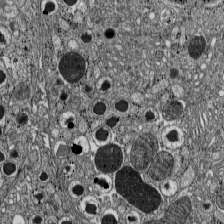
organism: C57BL Mouse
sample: Pancreatic islet